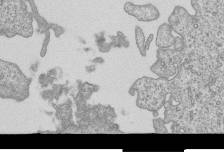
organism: Human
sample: MDA-MB-231 cells